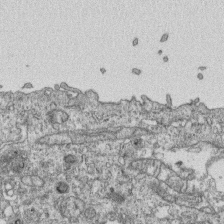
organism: Human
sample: HeLa cell HIV synapse